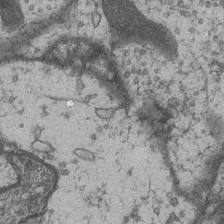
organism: Drosophila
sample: Optic medulla